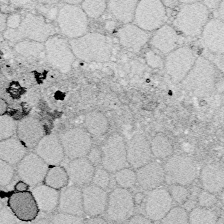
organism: Zebrafish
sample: Whole-Brain